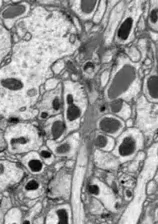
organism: Drosophila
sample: Optic lobe